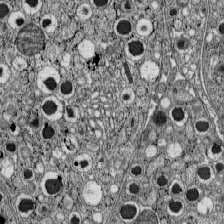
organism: C57BL Mouse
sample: Pancreatic islet